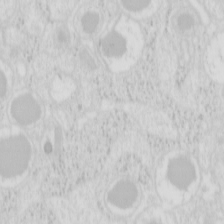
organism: Mouse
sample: Pancreas